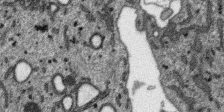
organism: Human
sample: Lung epithelial cells infected with SARS-CoV-2